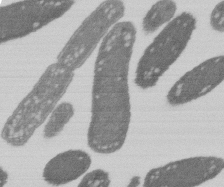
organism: E. coli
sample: Bacterial nucleoid